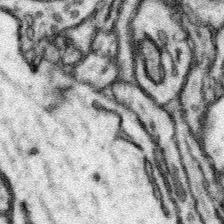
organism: Mouse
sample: Somatosensory cortex neuropil